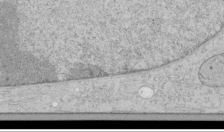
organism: Human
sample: Mitochondria in HCT116 cells